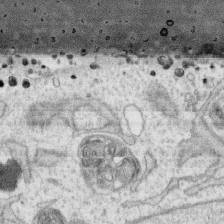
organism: Human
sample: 1205lu cells